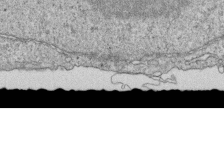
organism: Human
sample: HeLa cell HIV synapse